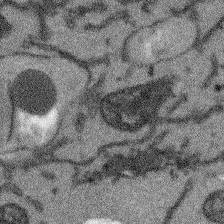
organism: Arabidopsis thaliana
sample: Root tip